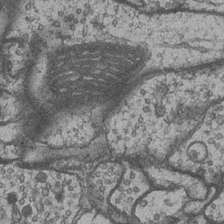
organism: Drosophila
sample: Optic medulla